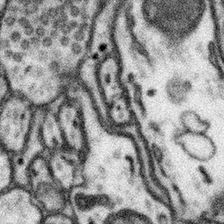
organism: Mouse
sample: Somatosensory cortex neuropil